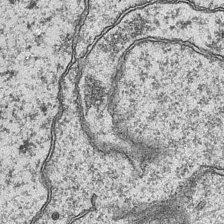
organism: Mouse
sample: CA1 Hippocampus